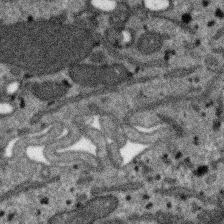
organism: Human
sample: Lung epithelial cells infected with SARS-CoV-2